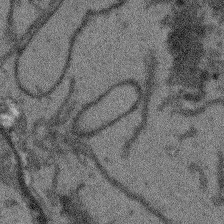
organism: Arabidopsis thaliana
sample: Root tip